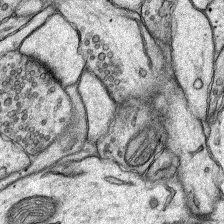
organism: Rat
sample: Hippocampus